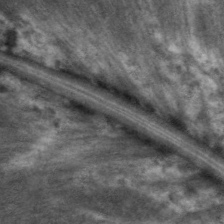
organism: C. elegans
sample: Pharynx